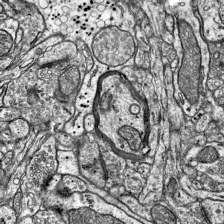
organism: Mouse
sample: Visual Cortex